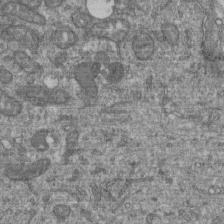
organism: Human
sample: Retinal organoid Rod and Cone cells